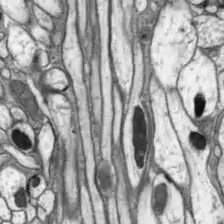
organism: Drosophila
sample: Optic lobe